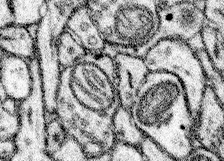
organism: Mouse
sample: Somatosensory cortex neuropil